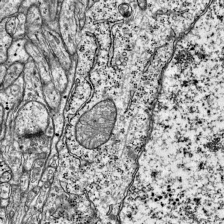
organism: Mouse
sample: Visual Cortex